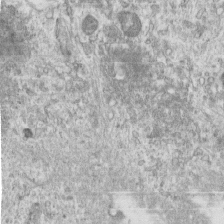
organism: Human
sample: Centriole in RPE cells